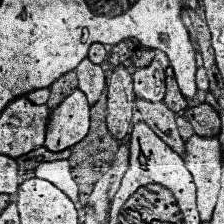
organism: Human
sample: Temporal Lobe